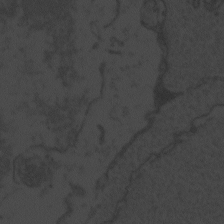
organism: Zebrafish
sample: Macrophage infected with Toxoplasma gondii